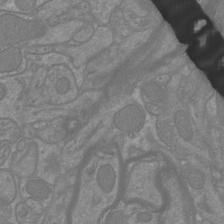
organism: Mouse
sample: Cortical neurons